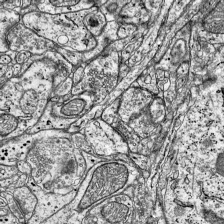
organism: Mouse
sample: Visual Cortex